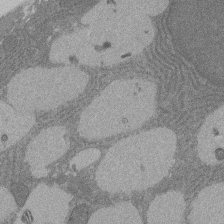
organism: Rat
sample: Salivary granule